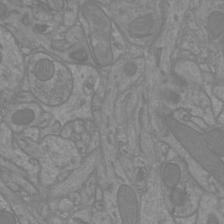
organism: Mouse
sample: Cortical neurons